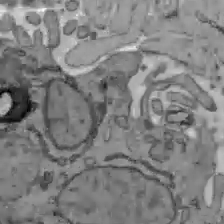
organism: C57BL Mouse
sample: Liver